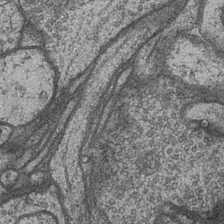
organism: Drosophila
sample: Optic medulla